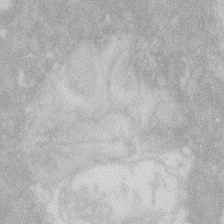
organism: Zebrafish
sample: Macrophage